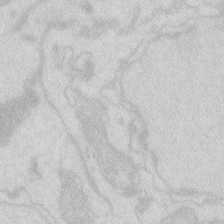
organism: Zebrafish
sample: Macrophage